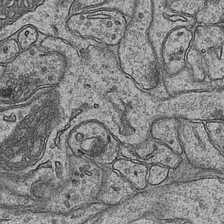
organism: Mouse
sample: CA1 Hippocampus